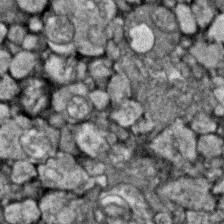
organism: Zebrafish